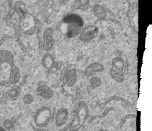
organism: Human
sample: MDA-MB-231 cells